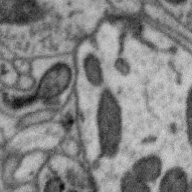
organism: Zebra finch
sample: Brain